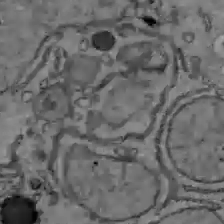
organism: C57BL Mouse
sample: Liver